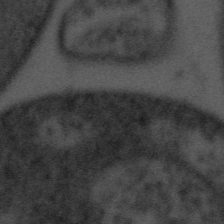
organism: Tuwongella immobilis